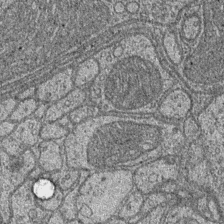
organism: Drosophila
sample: Optic medulla